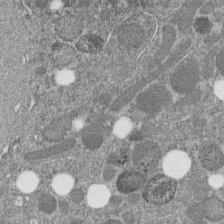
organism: C. elegans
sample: C. elegans embryo early stage